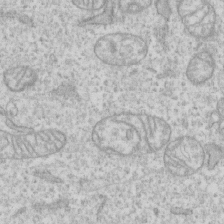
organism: Human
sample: CRL-1474